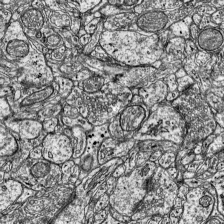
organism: Mouse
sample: Visual Cortex